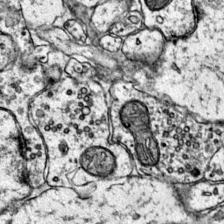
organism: Mouse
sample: Primary visual cortex